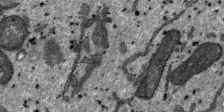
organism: Human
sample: Lung epithelial cells, uninfected (mock) control